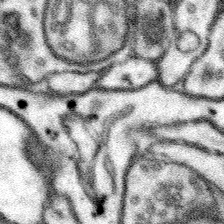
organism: Mouse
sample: Somatosensory cortex neuropil